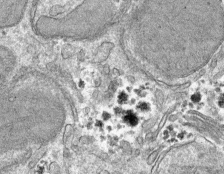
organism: Mouse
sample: Mouse hepatocytes